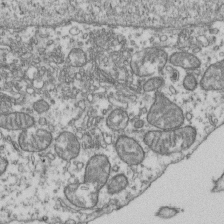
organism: Human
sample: Activated Jurkat CD4+ T cells